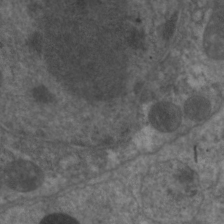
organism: C. elegans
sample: Pharynx